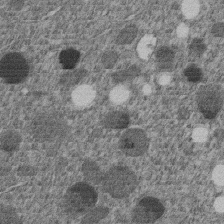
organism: C. elegans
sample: C. elegans embryo early stage